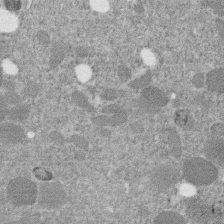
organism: C. elegans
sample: C. elegans embryo early stage